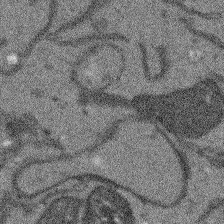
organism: Arabidopsis thaliana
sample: Root tip